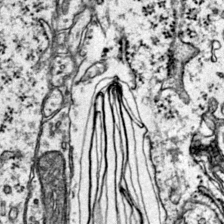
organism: Mouse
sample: Primary visual cortex